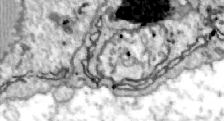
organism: Zebrafish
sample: Actinotrichia fibers